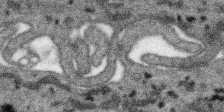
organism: Human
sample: Lung epithelial cells infected with SARS-CoV-2